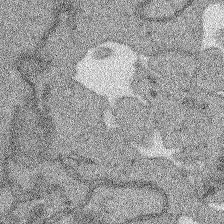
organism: Human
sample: HeLa cells